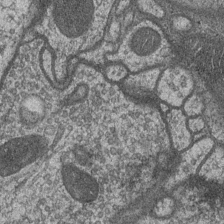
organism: Drosophila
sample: Optic medulla